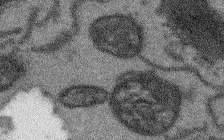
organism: Arabidopsis thaliana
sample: Root tip